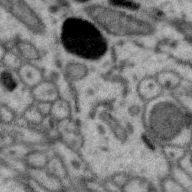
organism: Zebra finch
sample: Brain